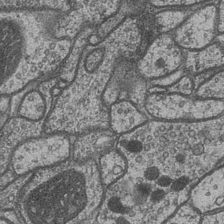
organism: Drosophila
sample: Optic medulla